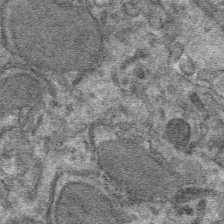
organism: Mouse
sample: Mouse hepatocytes